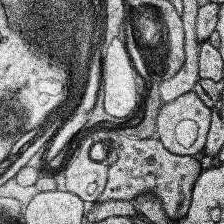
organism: Human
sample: Temporal Lobe